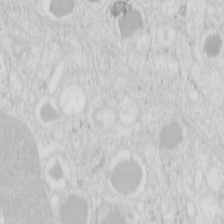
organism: Mouse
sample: Pancreas